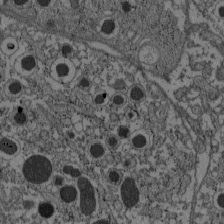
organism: C57BL Mouse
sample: Pancreatic islet